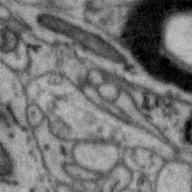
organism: Zebra finch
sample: Brain